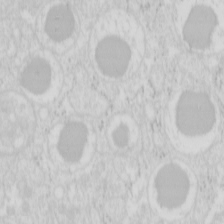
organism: Mouse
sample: Pancreas